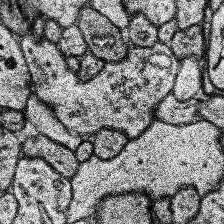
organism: Human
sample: Temporal Lobe